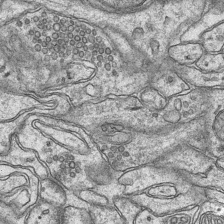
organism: Mouse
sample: CA1 Hippocampus